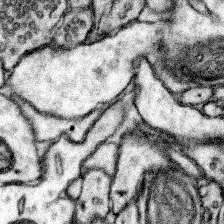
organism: Mouse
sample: Somatosensory cortex neuropil